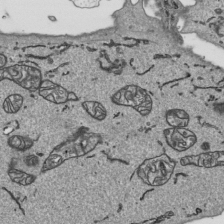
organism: Human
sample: Mitochondria in HCT116 cells